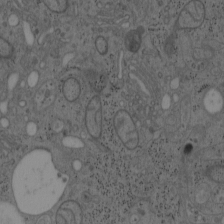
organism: Mouse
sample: OT-I killer T cells with ID8 ovarian cancer cells